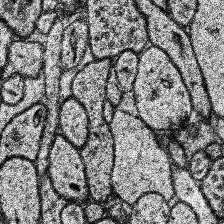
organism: Human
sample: Temporal Lobe